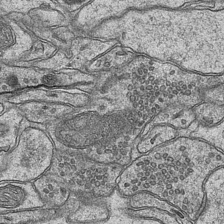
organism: Mouse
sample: CA1 Hippocampus